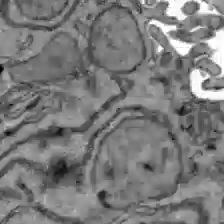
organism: C57BL Mouse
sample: Liver